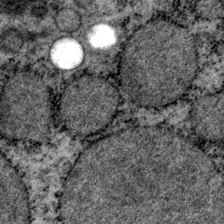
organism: P. pacificus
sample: Pharynx